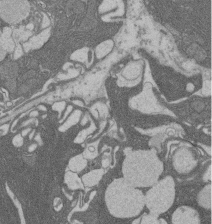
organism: Rat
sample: Salivary granule